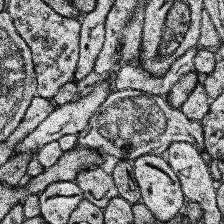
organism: Human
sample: Temporal Lobe